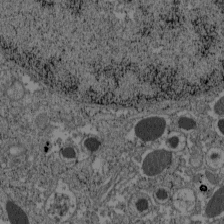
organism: C57BL Mouse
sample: Pancreatic islet